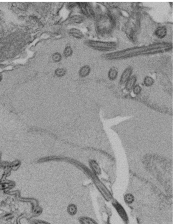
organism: Tetrahymena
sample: Cilia in tetrahymena